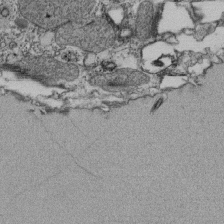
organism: Tetrahymena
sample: Cilia in tetrahymena